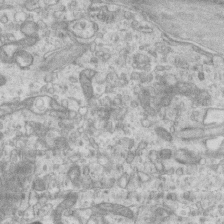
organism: Mouse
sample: Centriole in ependymal cells